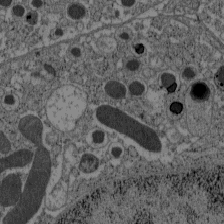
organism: C57BL Mouse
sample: Pancreatic islet